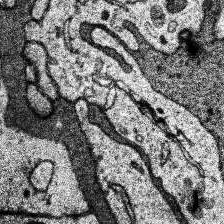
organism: Human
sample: Temporal Lobe